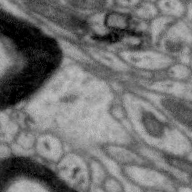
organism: Zebra finch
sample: Brain